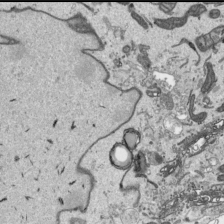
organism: Human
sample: Mitochondria in HCT116 cells